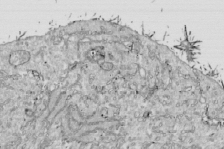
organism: Drosophila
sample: Cell division; meiosis; drosophila spermatocytes